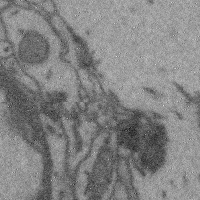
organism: Mouse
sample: Cerebral cortex